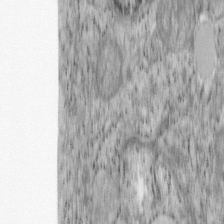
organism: Human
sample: HeLa cells